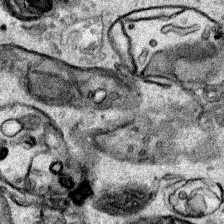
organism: Human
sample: Mitochondria in HCT116 cells